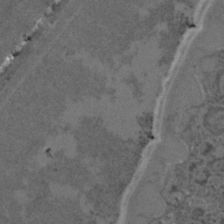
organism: C. elegans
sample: C. elegans embryo